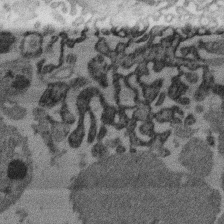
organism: Mouse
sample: Dividing mouse embryo 1 cell stage